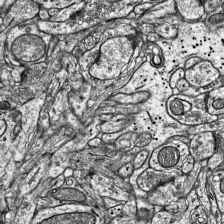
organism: Mouse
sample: Visual Cortex